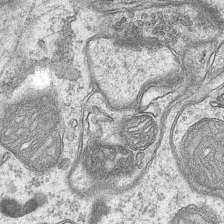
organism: Mouse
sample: CA1 Hippocampus